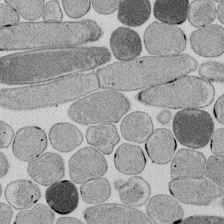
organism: E. coli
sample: Bacterial nucleoid